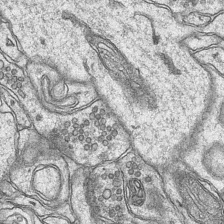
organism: Mouse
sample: CA1 Hippocampus